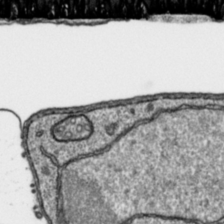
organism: Toxoplasma gondii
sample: Parasites in a vacuole inside a host cell